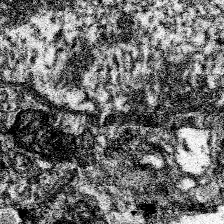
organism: Spongilla lacustris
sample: Neuroid cell